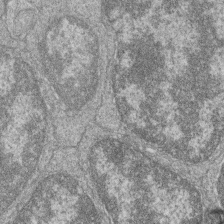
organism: Zebrafish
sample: Cilia; retinal pigment epithelium